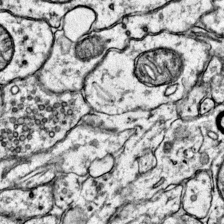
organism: Mouse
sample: Primary visual cortex